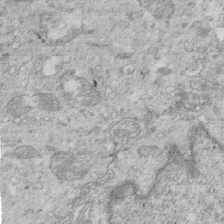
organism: Mouse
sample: Multiciliated cells